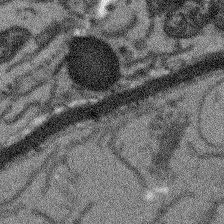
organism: Arabidopsis thaliana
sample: Root tip